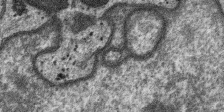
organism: Human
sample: Lung epithelial cells infected with SARS-CoV-2